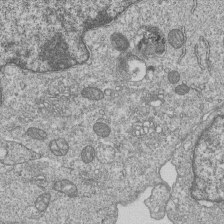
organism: Human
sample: MDA-MB-231 cells